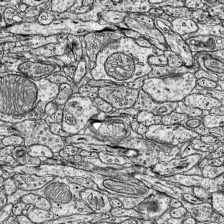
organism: Mouse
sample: Visual Cortex